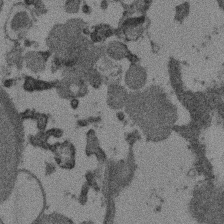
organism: Mouse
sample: Dividing mouse embryo 1 cell stage